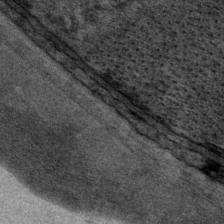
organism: P. pacificus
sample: Pharynx